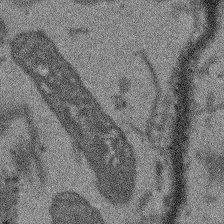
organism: Arabidopsis thaliana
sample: Root tip